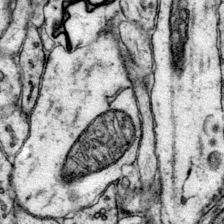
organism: Mouse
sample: Primary visual cortex